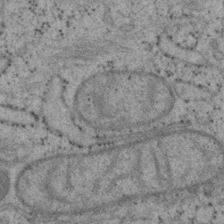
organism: Human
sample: HeLa cells